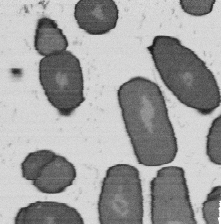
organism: B. subtilis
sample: Bacterial spore